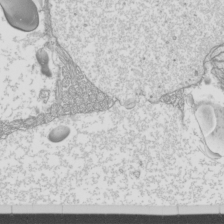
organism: Mouse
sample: Cilia; mouse epididymis